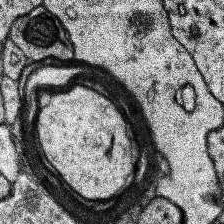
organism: Human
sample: Temporal Lobe